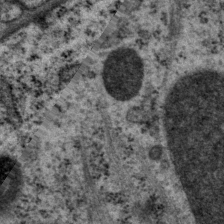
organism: P. pacificus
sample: Pharynx